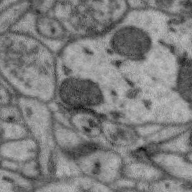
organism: Zebra finch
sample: Brain